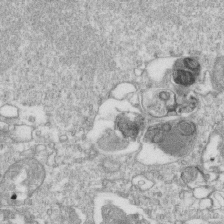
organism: Mouse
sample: Activated OT-1 CD8+ T cells